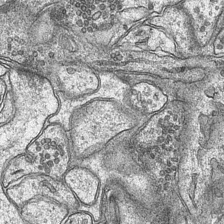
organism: Mouse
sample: CA1 Hippocampus